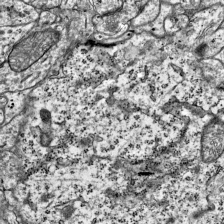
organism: Mouse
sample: Visual Cortex